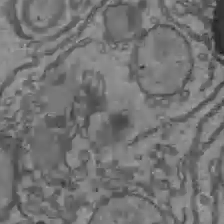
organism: C57BL Mouse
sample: Liver